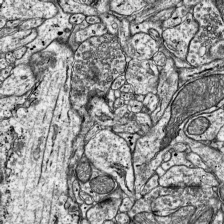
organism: Mouse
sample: Visual Cortex